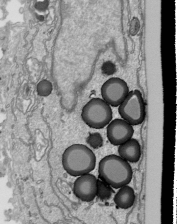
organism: Human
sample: Mitochondria in HCT116 cells